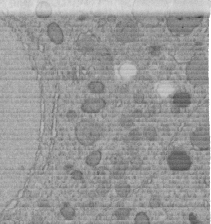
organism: C. elegans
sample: C. elegans embryo early stage